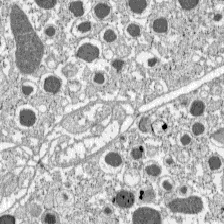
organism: C57BL Mouse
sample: Pancreatic islet